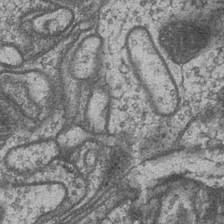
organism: Drosophila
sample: Optic medulla